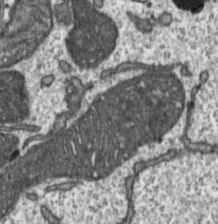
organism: Toxoplasma gondii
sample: Parasites in a vacuole inside a host cell